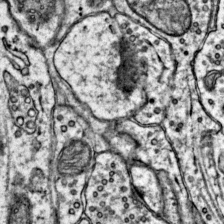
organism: Mouse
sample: Primary visual cortex